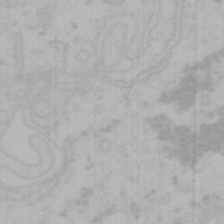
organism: Mouse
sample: Choroid plexus